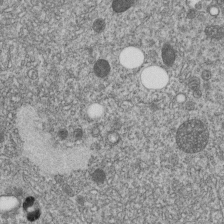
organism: C. elegans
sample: C. elegans embryo early stage